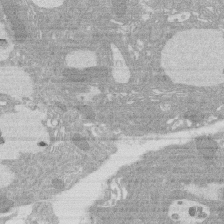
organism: Rat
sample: Salivary granule